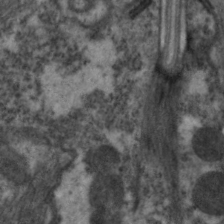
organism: C. elegans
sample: Pharynx